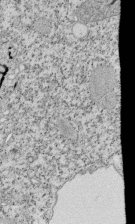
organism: Tetrahymena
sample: Cilia in tetrahymena